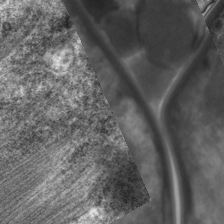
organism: C. elegans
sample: Pharynx